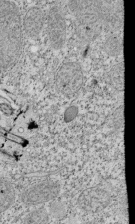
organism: Tetrahymena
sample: Cilia in tetrahymena